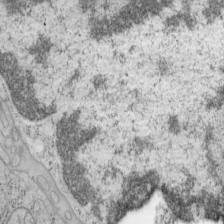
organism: Mouse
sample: OT-I killer T cells with ID8 ovarian cancer cells